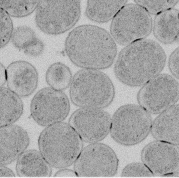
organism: E. coli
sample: Bacterial nucleoid